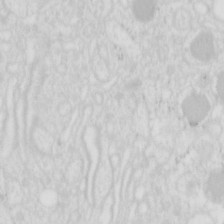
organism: Mouse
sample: Pancreas